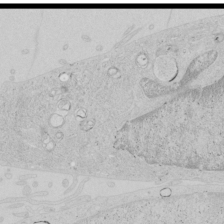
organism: Human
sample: Mitochondria in HCT116 cells